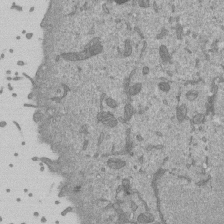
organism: Mouse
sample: ED-1 cell nuclei; centrioles